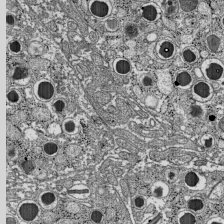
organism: C57BL Mouse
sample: Pancreatic islet